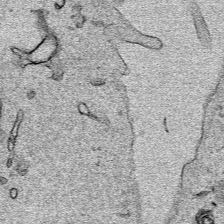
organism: Human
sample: Mitochondria in HCT116 cells